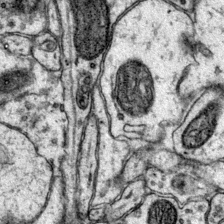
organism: Mouse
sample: Primary visual cortex